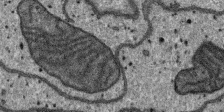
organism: Human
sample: Lung epithelial cells, uninfected (mock) control